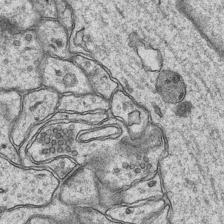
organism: Mouse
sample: CA1 Hippocampus